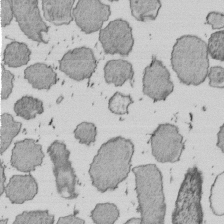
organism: E. coli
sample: Bacterial nucleoid